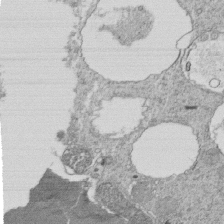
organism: Tetrahymena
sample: Cilia in tetrahymena